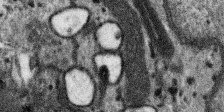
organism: Human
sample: Lung epithelial cells infected with SARS-CoV-2